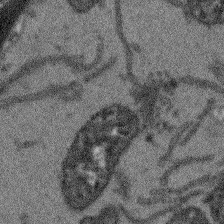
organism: Arabidopsis thaliana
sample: Root tip